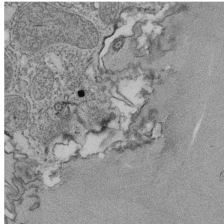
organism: Tetrahymena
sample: Cilia in tetrahymena